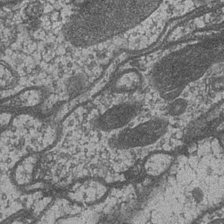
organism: Drosophila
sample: Optic medulla